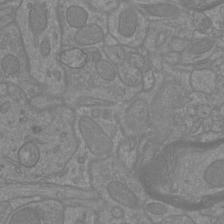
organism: Mouse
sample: Cortical neurons